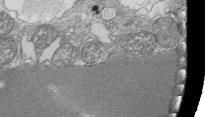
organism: Tetrahymena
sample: Cilia in tetrahymena